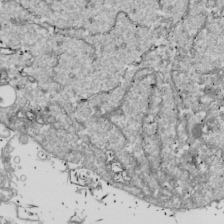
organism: Drosophila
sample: Cell division; meiosis; drosophila spermatocytes